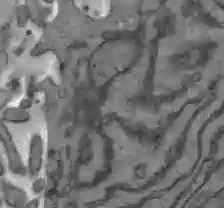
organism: C57BL Mouse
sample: Liver